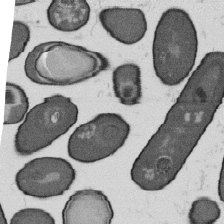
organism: B. subtilis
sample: Bacterial spore